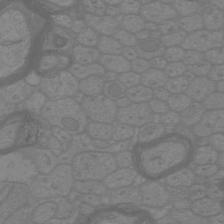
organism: Mouse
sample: Cortical neurons